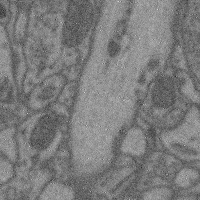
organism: Mouse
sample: Cerebral cortex